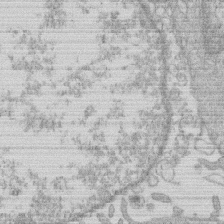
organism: Human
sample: Macrophage cells